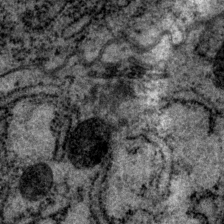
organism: P. pacificus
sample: Pharynx